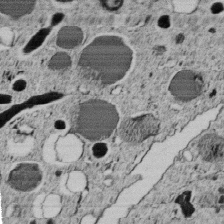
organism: C. elegans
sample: C. elegans embryo early stage